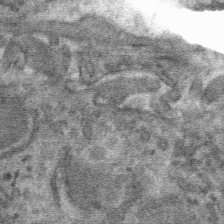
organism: Mouse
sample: Mouse hepatocytes